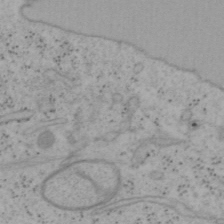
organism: Human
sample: HeLa cells